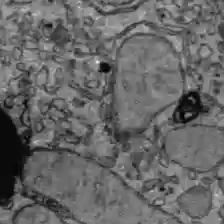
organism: C57BL Mouse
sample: Liver